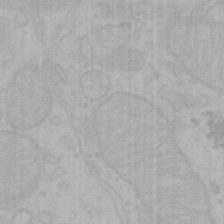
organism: Mouse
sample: Choroid plexus